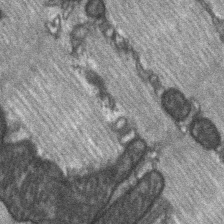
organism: C57BL Mouse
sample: Soleus